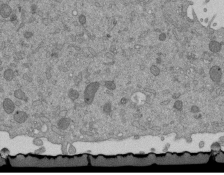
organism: Mouse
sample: ED-1 cell nuclei; centrioles